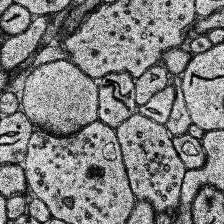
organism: Human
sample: Temporal Lobe